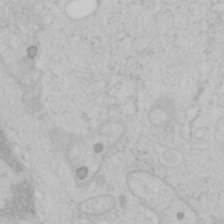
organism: Mouse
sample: OT-I killer T cells with ID8 ovarian cancer cells